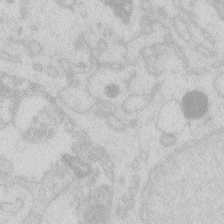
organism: Zebrafish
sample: Macrophage